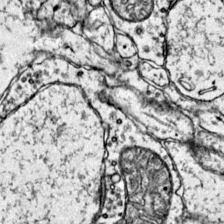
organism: Mouse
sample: Primary visual cortex